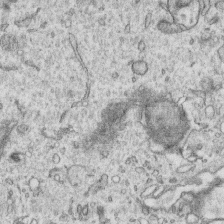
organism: Human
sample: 1205lu cells